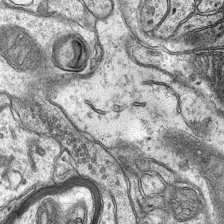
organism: Mouse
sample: CA1 Hippocampus